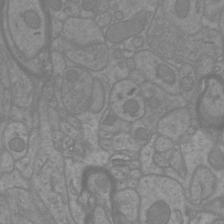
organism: Mouse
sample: Cortical neurons